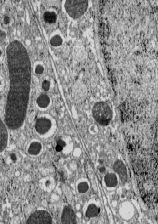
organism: C57BL Mouse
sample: Pancreatic islet